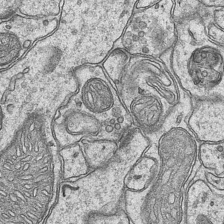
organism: Mouse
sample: CA1 Hippocampus